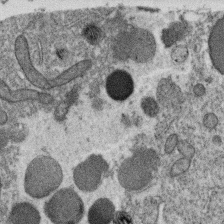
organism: C. elegans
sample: C. elegans oocyte; sperm cells